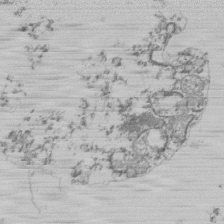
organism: Mouse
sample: Activated Pmel transgenic CD8+ T Cells